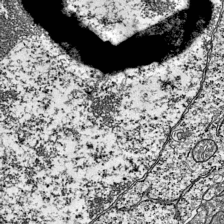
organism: Mouse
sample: Visual Cortex